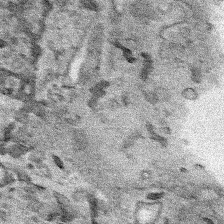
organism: Human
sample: Mitochondria in HCT116 cells